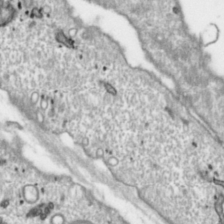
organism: Toxoplasma gondii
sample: Parasites in a vacuole inside a host cell